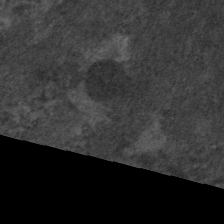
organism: C. elegans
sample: Pharynx